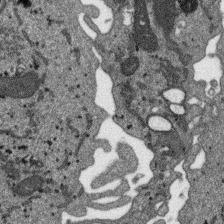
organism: Human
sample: Lung epithelial cells infected with SARS-CoV-2